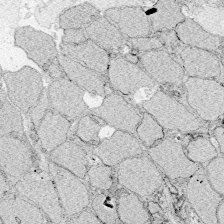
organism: Zebrafish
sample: Whole-Brain